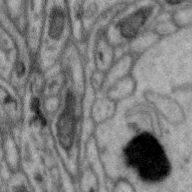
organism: Zebra finch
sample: Brain